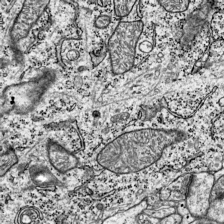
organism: Mouse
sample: Visual Cortex